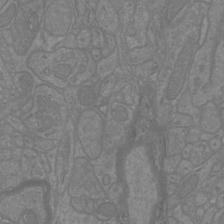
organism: Mouse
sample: Cortical neurons